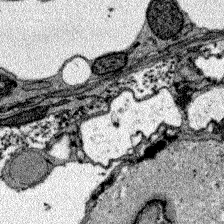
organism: Zebrafish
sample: Larval olfactory bulb